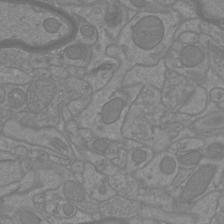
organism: Mouse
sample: Cortical neurons